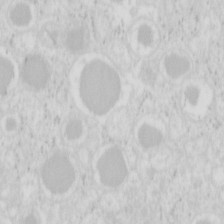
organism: Mouse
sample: Pancreas